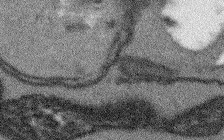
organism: Arabidopsis thaliana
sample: Root tip